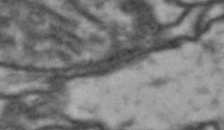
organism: Drosophila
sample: Brain